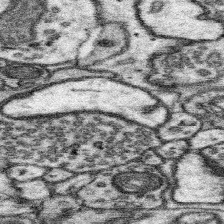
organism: Mouse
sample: Somatosensory cortex neuropil